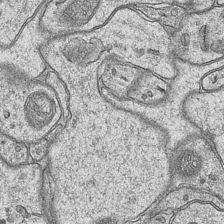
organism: Mouse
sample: CA1 Hippocampus